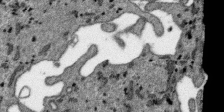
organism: Human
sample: Lung epithelial cells, uninfected (mock) control